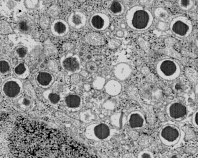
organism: C57BL Mouse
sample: Pancreatic islet